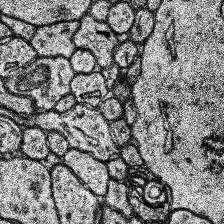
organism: Human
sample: Temporal Lobe